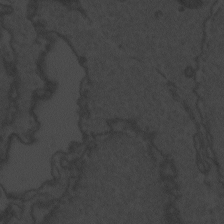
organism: Zebrafish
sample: Macrophage infected with Toxoplasma gondii